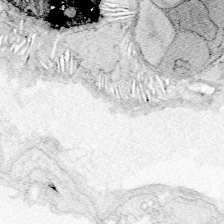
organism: Zebrafish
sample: Whole-Brain